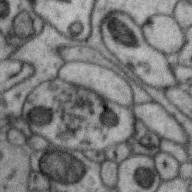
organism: Zebra finch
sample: Brain